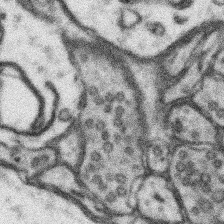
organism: Mouse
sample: Somatosensory cortex neuropil